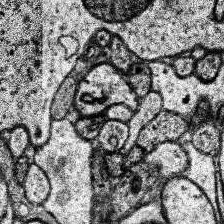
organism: Human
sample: Temporal Lobe